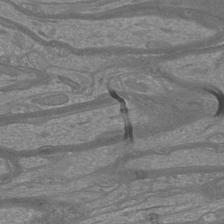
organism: Mouse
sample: Cortical neurons